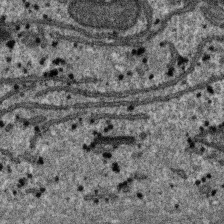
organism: Human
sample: Lung epithelial cells infected with SARS-CoV-2